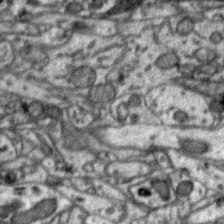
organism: Zebra finch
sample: Brain